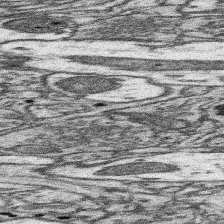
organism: Mouse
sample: Somatosensory cortex neuropil